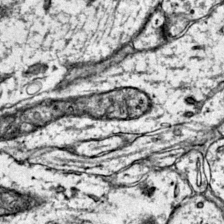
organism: Mouse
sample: Primary visual cortex